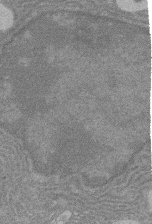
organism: Rat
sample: Salivary granule